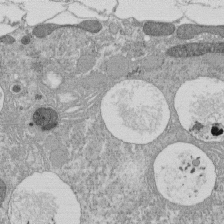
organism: Tetrahymena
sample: Cilia in tetrahymena